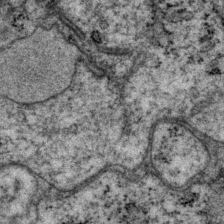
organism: P. pacificus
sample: Pharynx